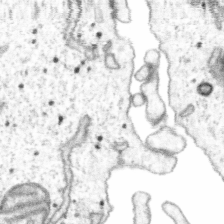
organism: Human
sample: HeLa cells